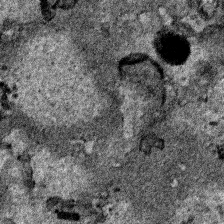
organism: Human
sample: Mitochondria in HCT116 cells